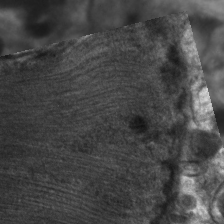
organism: C. elegans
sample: Pharynx